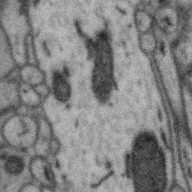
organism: Zebra finch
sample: Brain